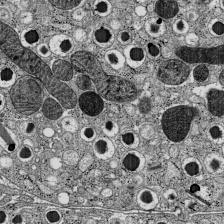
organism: C57BL Mouse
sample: Pancreatic islet